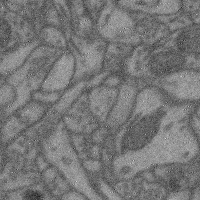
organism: Mouse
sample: Cerebral cortex